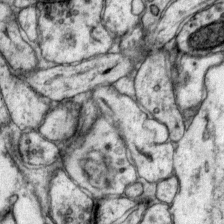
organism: Mouse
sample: Primary visual cortex